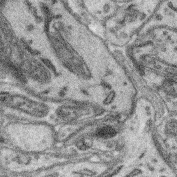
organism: Mouse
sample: Retina